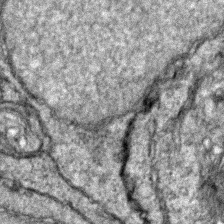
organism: Zebrafish